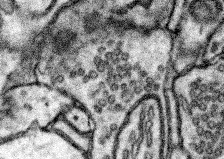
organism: Mouse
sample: Somatosensory cortex neuropil